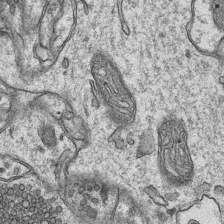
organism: Mouse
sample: CA1 Hippocampus